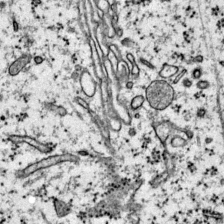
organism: Mouse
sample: Primary visual cortex